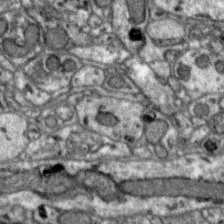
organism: Zebra finch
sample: Brain